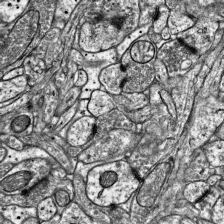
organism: Mouse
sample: Visual Cortex